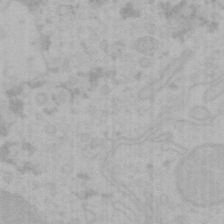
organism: Mouse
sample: Choroid plexus